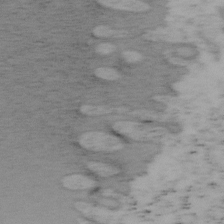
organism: Mouse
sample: OT-I killer T cells with ID8 ovarian cancer cells